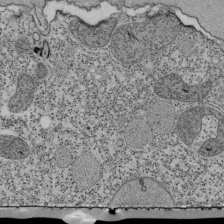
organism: Tetrahymena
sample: Cilia in tetrahymena